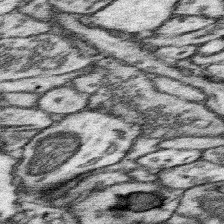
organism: Mouse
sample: Somatosensory cortex neuropil